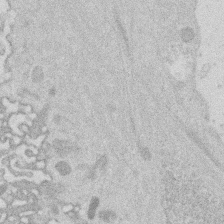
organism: Mouse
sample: Dividing mouse embryo 1 cell stage